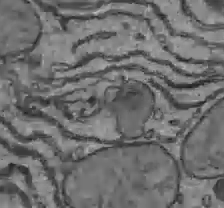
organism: C57BL Mouse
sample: Liver